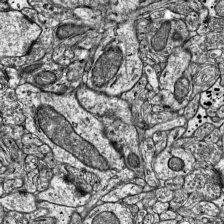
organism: Mouse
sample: Visual Cortex